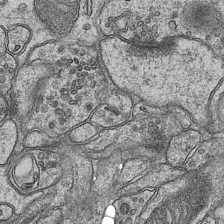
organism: Mouse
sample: CA1 Hippocampus